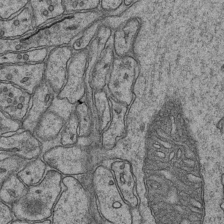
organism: Mouse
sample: CA1 Hippocampus